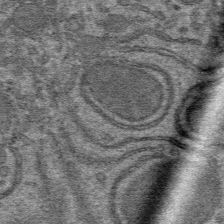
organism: Mouse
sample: Mouse hepatocytes